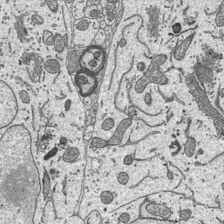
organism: Mouse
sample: Suprachiasmatic nucleus